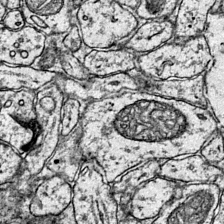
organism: Mouse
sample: Primary visual cortex